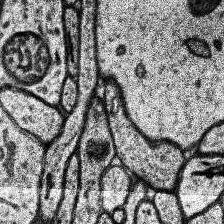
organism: Human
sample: Temporal Lobe